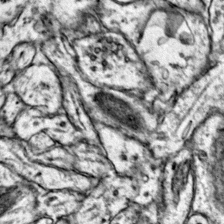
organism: Mouse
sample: Primary visual cortex